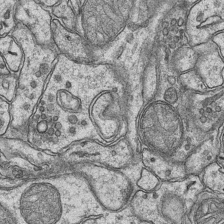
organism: Mouse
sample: CA1 Hippocampus